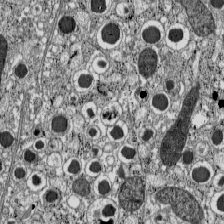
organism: C57BL Mouse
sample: Pancreatic islet